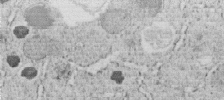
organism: C. elegans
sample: C. elegans embryo early stage